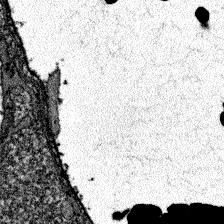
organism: Zebrafish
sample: Larval olfactory bulb